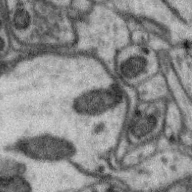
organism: Zebra finch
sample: Brain